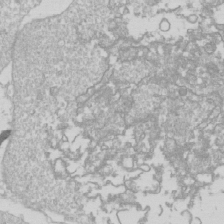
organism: Drosophila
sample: Cell division; meiosis; drosophila spermatocytes